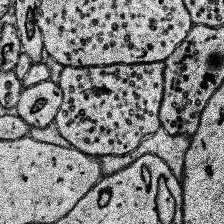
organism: Human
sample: Temporal Lobe